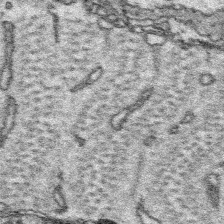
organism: Platynereis dumerilii